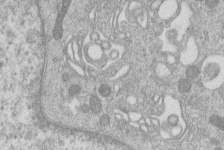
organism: Human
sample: Macrophage cells